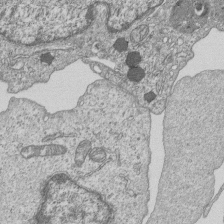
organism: Human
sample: MDA-MB-231 cells